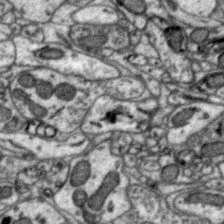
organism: Zebra finch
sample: Brain